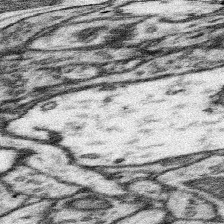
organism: Mouse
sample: Somatosensory cortex neuropil